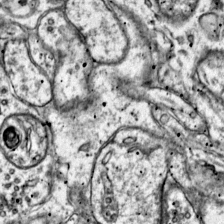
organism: Mouse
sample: Primary visual cortex